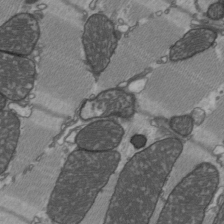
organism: C57BL Mouse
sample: Heart